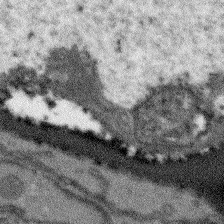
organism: Arabidopsis thaliana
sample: Root tip